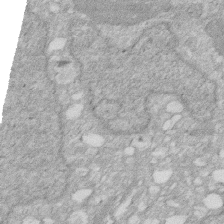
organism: Human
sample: HIV infected U937 cells